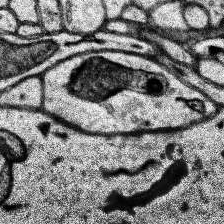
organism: Human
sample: Temporal Lobe